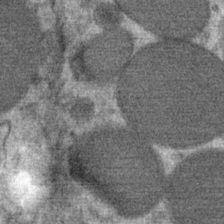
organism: Mouse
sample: Mouse Salivary gland